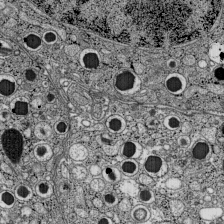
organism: C57BL Mouse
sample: Pancreatic islet